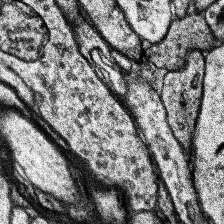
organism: Human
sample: Temporal Lobe